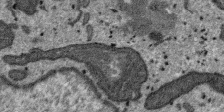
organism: Human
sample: Lung epithelial cells, uninfected (mock) control